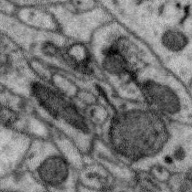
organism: Zebra finch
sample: Brain